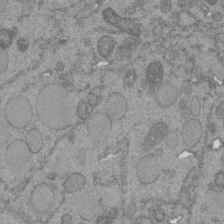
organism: C. elegans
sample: C. elegans embryo early stage